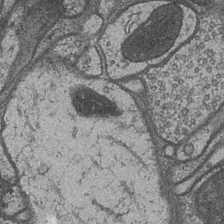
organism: Drosophila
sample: Optic medulla